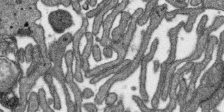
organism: Human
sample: Lung epithelial cells, uninfected (mock) control